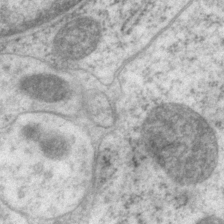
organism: P. pacificus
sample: Pharynx